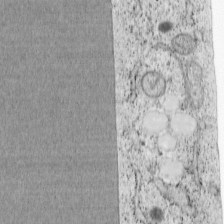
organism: African green monkey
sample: COS-7 cells